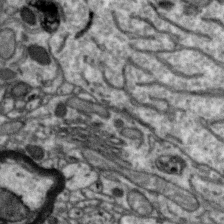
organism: Zebra finch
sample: Brain